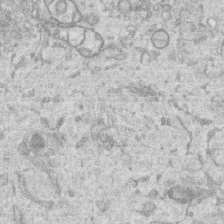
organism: Human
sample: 1205lu cells